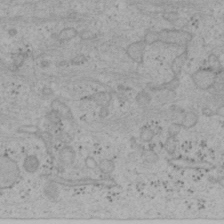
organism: Human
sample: HeLa cells